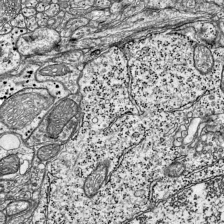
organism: Mouse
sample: Visual Cortex